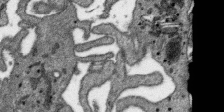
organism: Human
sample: Lung epithelial cells, uninfected (mock) control